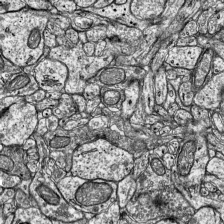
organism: Mouse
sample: Visual Cortex